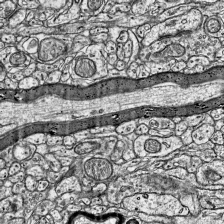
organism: Mouse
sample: Visual Cortex